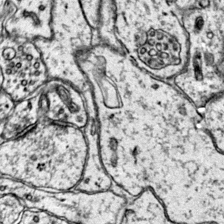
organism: Mouse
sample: Primary visual cortex